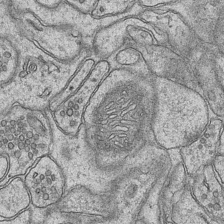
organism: Mouse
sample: CA1 Hippocampus